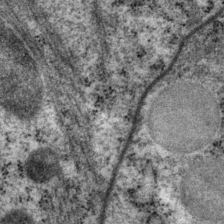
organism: P. pacificus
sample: Pharynx